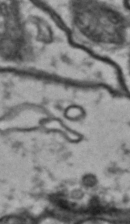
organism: Drosophila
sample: Brain